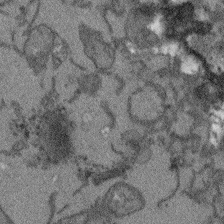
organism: Arabidopsis thaliana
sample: Root tip